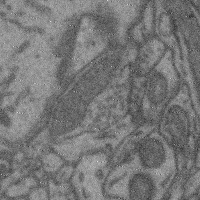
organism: Mouse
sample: Cerebral cortex